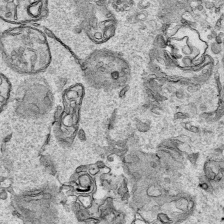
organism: Human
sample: Mitochondria in HCT116 cells